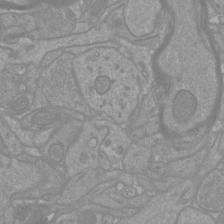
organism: Mouse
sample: Cortical neurons